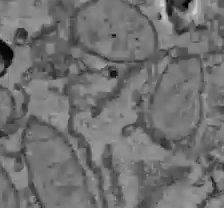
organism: C57BL Mouse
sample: Liver